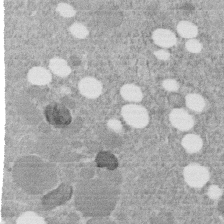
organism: C. elegans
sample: C. elegans embryo early stage